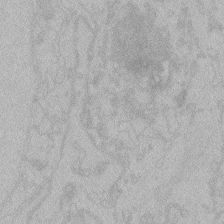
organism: Zebrafish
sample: Macrophage infected with Toxoplasma gondii